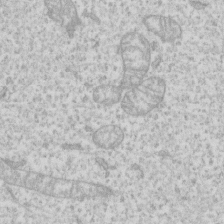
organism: Human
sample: Fibroblast cells